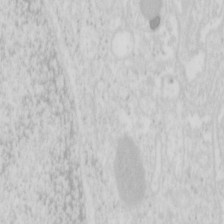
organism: Mouse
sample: Pancreas